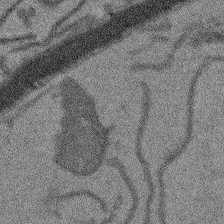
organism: Arabidopsis thaliana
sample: Root tip